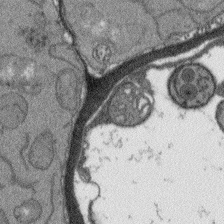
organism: Arabidopsis thaliana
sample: Root tip